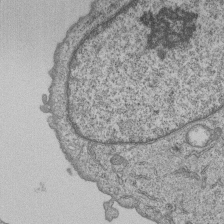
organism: Human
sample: MDA-MB-231 cells